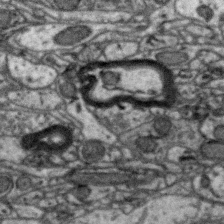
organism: Zebra finch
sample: Brain